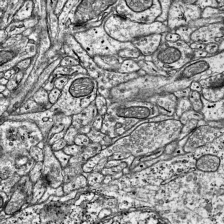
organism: Mouse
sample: Visual Cortex